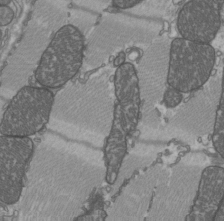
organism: C57BL Mouse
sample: Heart